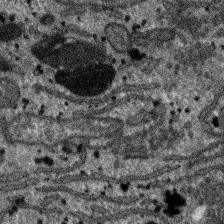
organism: Human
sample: Lung epithelial cells infected with SARS-CoV-2